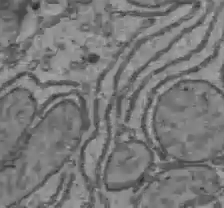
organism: C57BL Mouse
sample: Liver